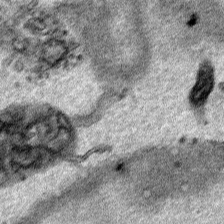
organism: Human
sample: Mitochondria in HCT116 cells